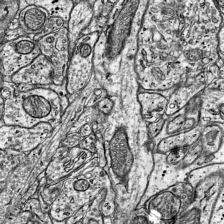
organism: Mouse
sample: Visual Cortex